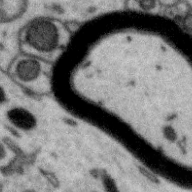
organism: Zebra finch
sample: Brain